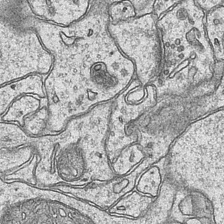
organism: Mouse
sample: CA1 Hippocampus